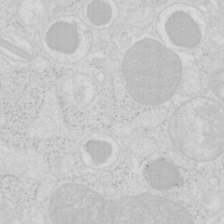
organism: Mouse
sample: Pancreas